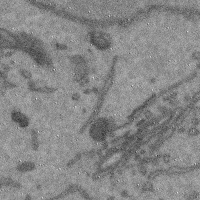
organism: Mouse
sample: Cerebral cortex